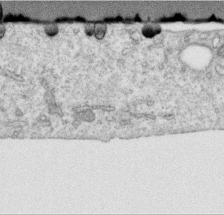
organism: Human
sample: Centriole in RPE cells